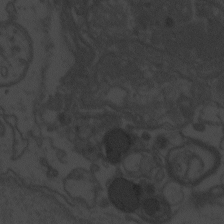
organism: Zebrafish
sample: Macrophage infected with Toxoplasma gondii